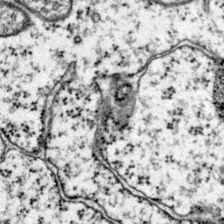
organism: Mouse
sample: Primary visual cortex